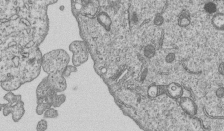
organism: Human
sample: MDA-MB-231 cells